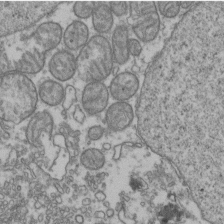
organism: Human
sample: Activated Jurkat CD4+ T cells